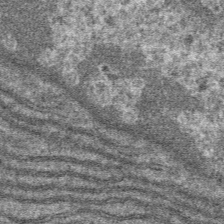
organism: Mouse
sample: Mouse hepatocytes